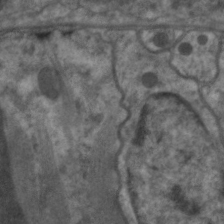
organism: C. elegans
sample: Pharynx